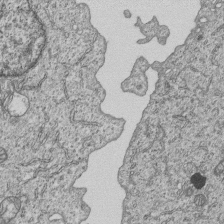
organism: Human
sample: MDA-MB-231 cells